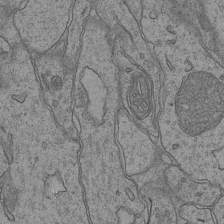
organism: Mouse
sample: CA1 Hippocampus